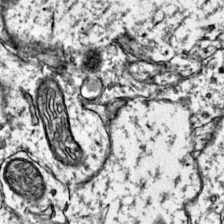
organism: Mouse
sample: Primary visual cortex